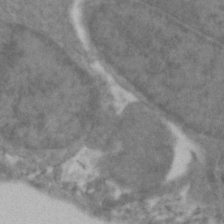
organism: Zebrafish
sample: Zebrafish embryo